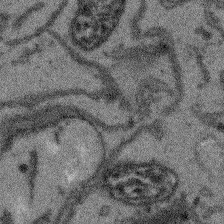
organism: Arabidopsis thaliana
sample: Root tip